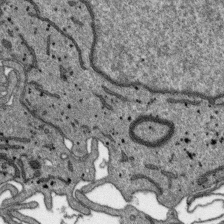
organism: Human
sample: Lung epithelial cells, uninfected (mock) control